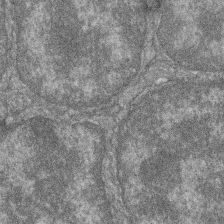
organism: Zebrafish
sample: Cilia; retinal pigment epithelium